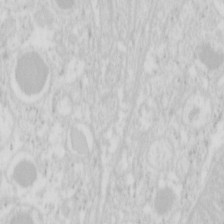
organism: Mouse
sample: Pancreas